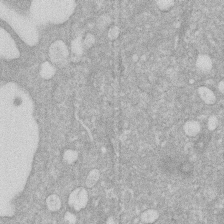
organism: Human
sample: HIV infected U937 cells